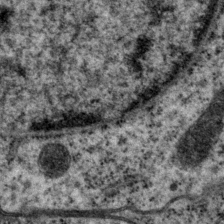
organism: P. pacificus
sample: Pharynx